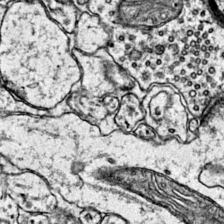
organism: Mouse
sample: Primary visual cortex